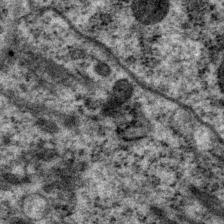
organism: P. pacificus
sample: Pharynx